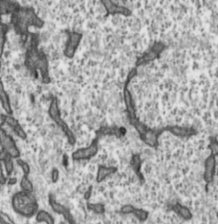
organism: Toxoplasma gondii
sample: Parasites in a vacuole inside a host cell